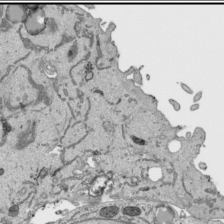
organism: Human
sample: Mitochondria in HCT116 cells